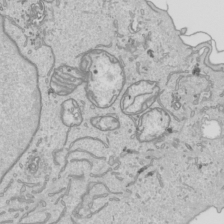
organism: Human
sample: Mitochondria in HCT116 cells